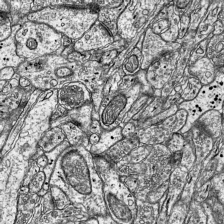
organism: Mouse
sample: Visual Cortex